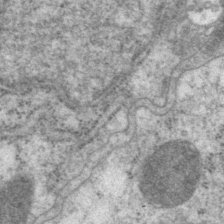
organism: P. pacificus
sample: Pharynx